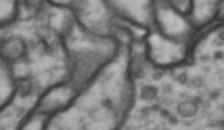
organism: Drosophila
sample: Brain